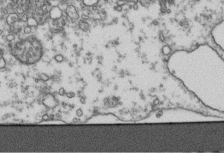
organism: Human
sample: Activated Jurkat CD4+ T cells